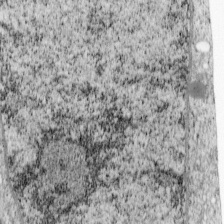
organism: African green monkey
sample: COS-7 cells